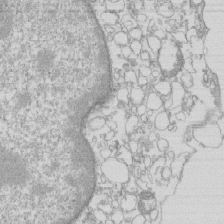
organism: Mouse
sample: Macrophages